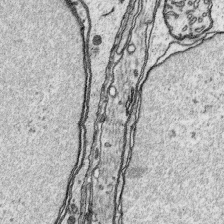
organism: Platynereis dumerilii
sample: Parapodia